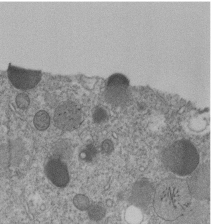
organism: C. elegans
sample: C. elegans embryo early stage